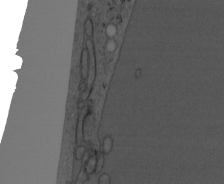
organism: Mouse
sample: OT-I killer T cells with ID8 ovarian cancer cells